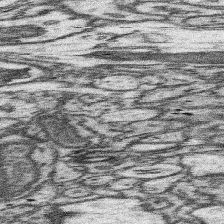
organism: Mouse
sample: Somatosensory cortex neuropil